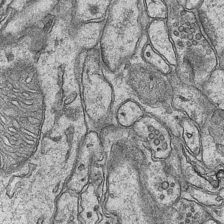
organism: Mouse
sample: CA1 Hippocampus